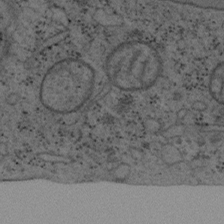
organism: Human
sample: HeLa cells